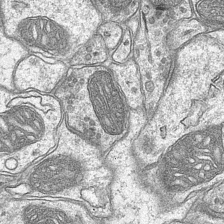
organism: Mouse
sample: CA1 Hippocampus